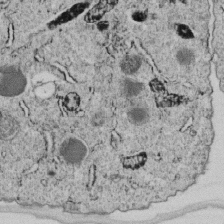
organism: C. elegans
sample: C. elegans embryo early stage